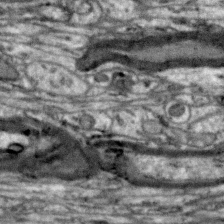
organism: Zebra finch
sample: Brain